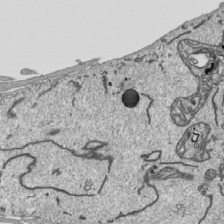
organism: Human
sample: Mitochondria in HCT116 cells